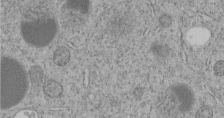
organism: C. elegans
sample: C. elegans embryo early stage